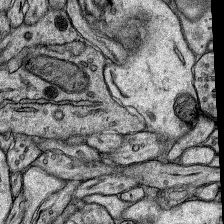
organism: Rat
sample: Hippocampus